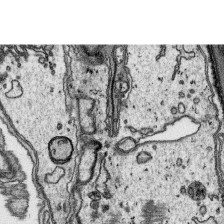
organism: Platynereis dumerilii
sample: Parapodia